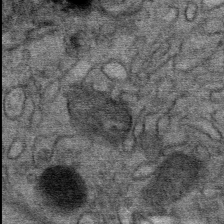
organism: Mouse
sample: Mouse Salivary gland